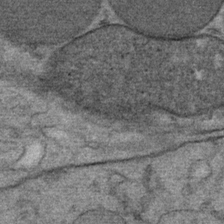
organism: Mouse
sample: Mouse Salivary gland